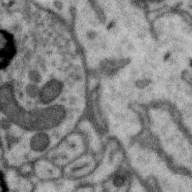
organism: Zebra finch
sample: Brain